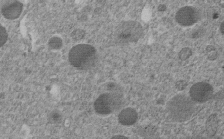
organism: C. elegans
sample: C. elegans embryo early stage